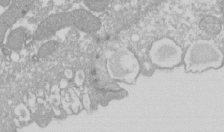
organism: Xenopus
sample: Cilia; centrioles in frog embryo cells